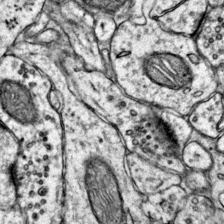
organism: Mouse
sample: Primary visual cortex